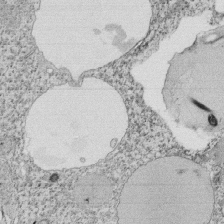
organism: Tetrahymena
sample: Cilia in tetrahymena